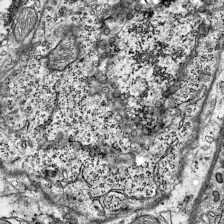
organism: Mouse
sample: Visual Cortex